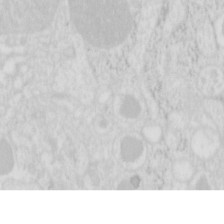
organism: Mouse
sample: Pancreas